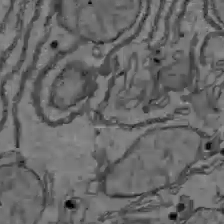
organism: C57BL Mouse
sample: Liver